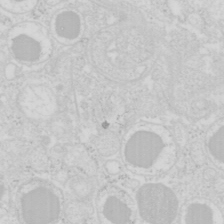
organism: Mouse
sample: Pancreas